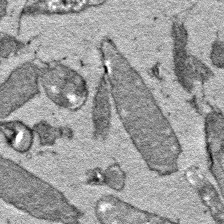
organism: E. coli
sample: E. Coli Bacteria